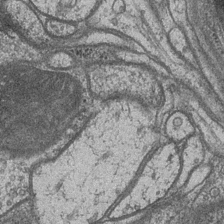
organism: Drosophila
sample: Optic medulla